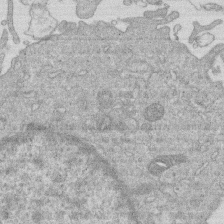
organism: Human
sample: Macrophage cells